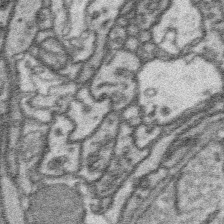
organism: Platynereis dumerilii